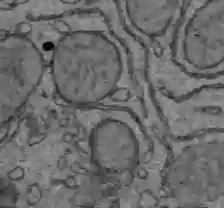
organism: C57BL Mouse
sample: Liver